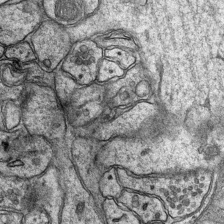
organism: Mouse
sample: CA1 Hippocampus